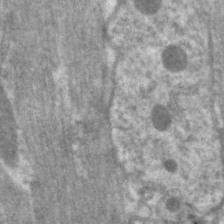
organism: C. elegans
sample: Pharynx